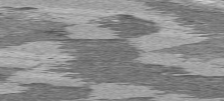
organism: C57BL Mouse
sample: Heart